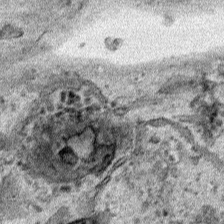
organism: Human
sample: Mitochondria in HCT116 cells